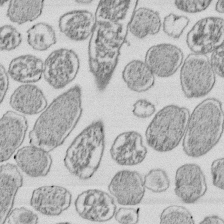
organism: E. coli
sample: Bacterial nucleoid